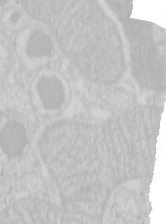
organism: Mouse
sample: Pancreas